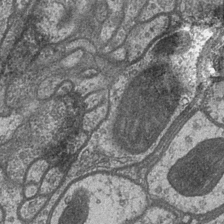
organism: Drosophila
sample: Optic medulla